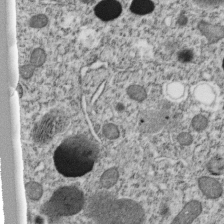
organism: C. elegans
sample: C. elegans embryo early stage